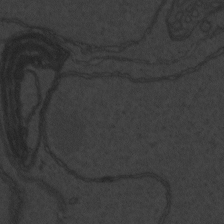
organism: Zebrafish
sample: Macrophage infected with Toxoplasma gondii